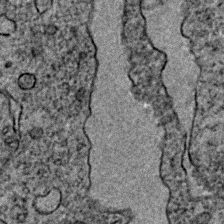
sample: Trachea